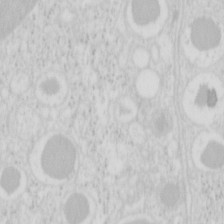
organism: Mouse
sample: Pancreas